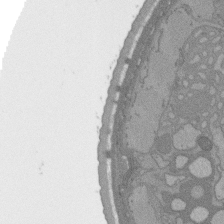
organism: C. elegans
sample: AFD neurons C. elegans